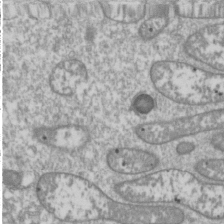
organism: Drosophila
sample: Cell division; meiosis; drosophila spermatocytes